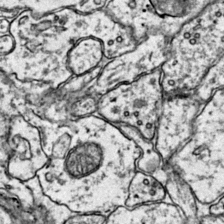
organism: Mouse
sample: Primary visual cortex